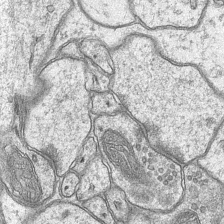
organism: Mouse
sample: CA1 Hippocampus